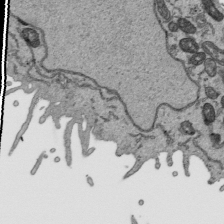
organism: Human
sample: Mitochondria in HCT116 cells